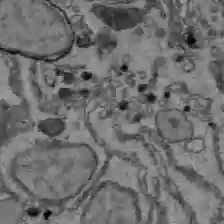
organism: C57BL Mouse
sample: Liver